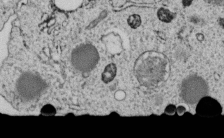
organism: C. elegans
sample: C. elegans embryo early stage